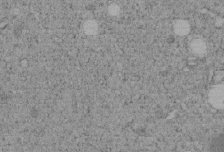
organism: C. elegans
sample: C. elegans embryo early stage